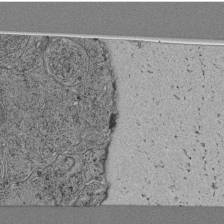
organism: C. elegans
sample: C. elegans pharynx